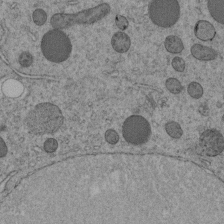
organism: C. elegans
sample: C. elegans embryo early stage